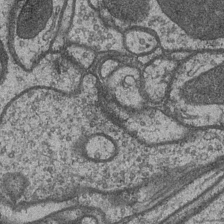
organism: Drosophila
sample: Optic medulla